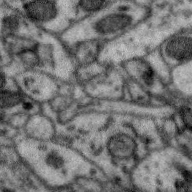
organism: Zebra finch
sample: Brain